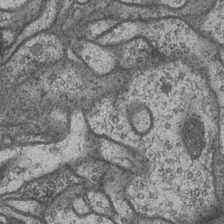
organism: Drosophila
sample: Optic medulla